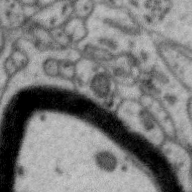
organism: Zebra finch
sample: Brain